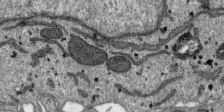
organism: Human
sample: Lung epithelial cells, uninfected (mock) control